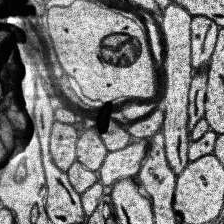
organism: Human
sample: Temporal Lobe